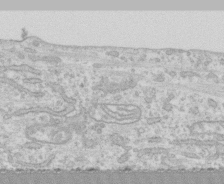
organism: Human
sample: CRL-1474